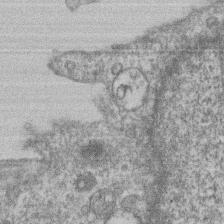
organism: Mouse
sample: T cell stromal cell synapse